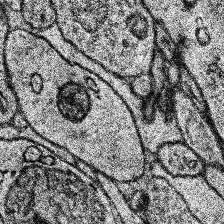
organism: Human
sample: Temporal Lobe